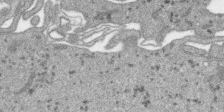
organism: Human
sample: Lung epithelial cells infected with SARS-CoV-2